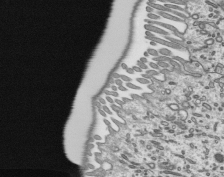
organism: Mouse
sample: Mouse epididymis efferent ductule cilia